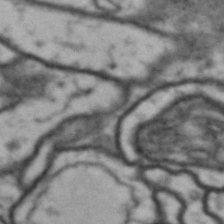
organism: Drosophila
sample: Brain